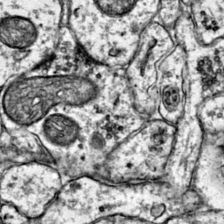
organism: Mouse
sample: Primary visual cortex